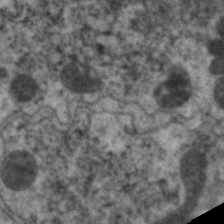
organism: C. elegans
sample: Pharynx